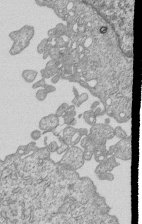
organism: Human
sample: MDA-MB-231 cells